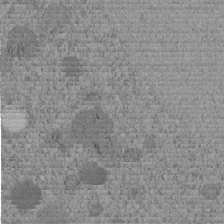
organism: C. elegans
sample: C. elegans embryo early stage